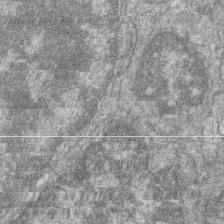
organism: Zebrafish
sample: Cilia; retinal pigment epithelium